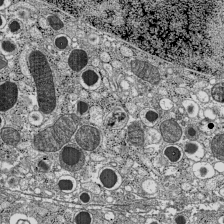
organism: C57BL Mouse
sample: Pancreatic islet